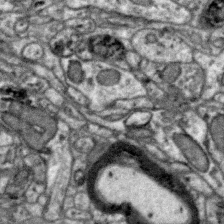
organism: Zebra finch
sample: Brain